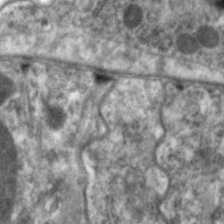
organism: C. elegans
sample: Pharynx